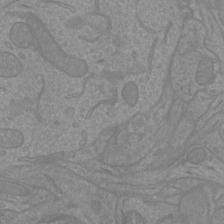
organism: Mouse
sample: Cortical neurons